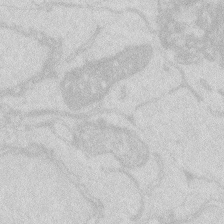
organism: Zebrafish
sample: Macrophage